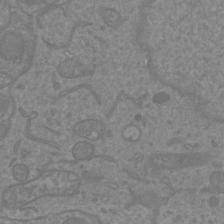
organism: Mouse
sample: Cortical neurons